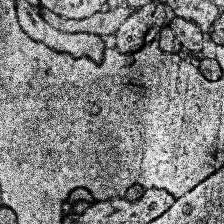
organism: Human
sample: Temporal Lobe